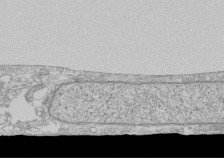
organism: Human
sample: CRL-1474